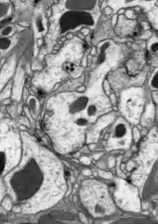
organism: Drosophila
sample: Optic lobe